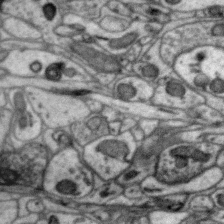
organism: Zebra finch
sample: Brain